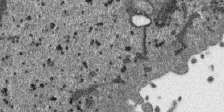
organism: Human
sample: Lung epithelial cells infected with SARS-CoV-2